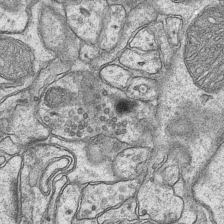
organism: Mouse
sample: CA1 Hippocampus